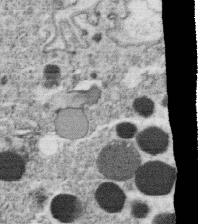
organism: C. elegans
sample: C. elegans oocyte; sperm cells